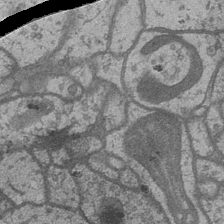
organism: Drosophila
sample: Optic medulla